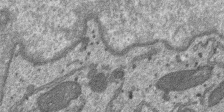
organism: Human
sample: Lung epithelial cells infected with SARS-CoV-2